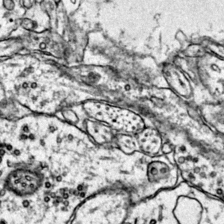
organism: Mouse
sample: Primary visual cortex